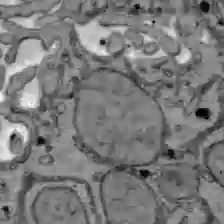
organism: C57BL Mouse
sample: Liver